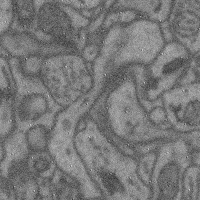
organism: Mouse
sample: Cerebral cortex